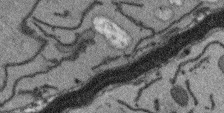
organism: Arabidopsis thaliana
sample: Root tip